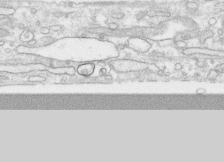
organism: Human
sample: CRL-1474